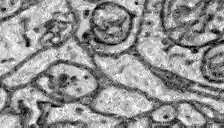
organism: Zebrafish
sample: Brain